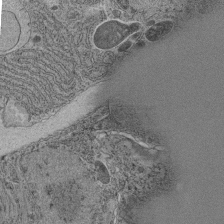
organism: C. elegans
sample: C. elegans pharynx